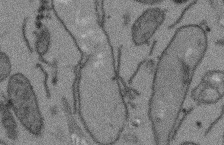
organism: Arabidopsis thaliana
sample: Root tip